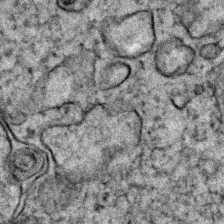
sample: Trachea